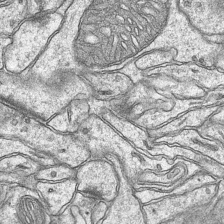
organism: Mouse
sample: CA1 Hippocampus